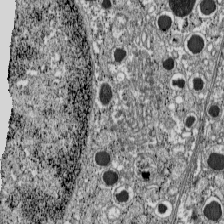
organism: C57BL Mouse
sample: Pancreatic islet